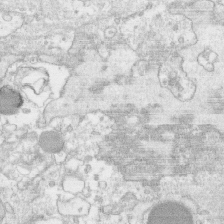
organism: Human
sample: CRL-1474